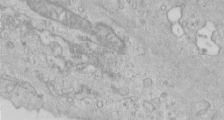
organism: Human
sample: Centriole in RPE cells